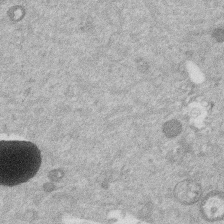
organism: Mouse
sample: Dividing mouse embryo 1 cell stage